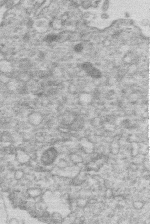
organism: Human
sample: Macrophage cells